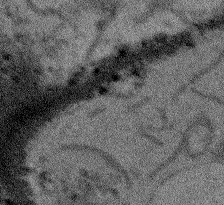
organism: Arabidopsis thaliana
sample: Root tip